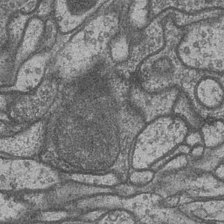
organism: Drosophila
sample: Optic medulla